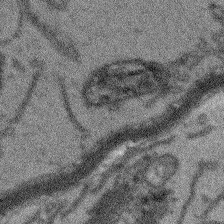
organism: Arabidopsis thaliana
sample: Root tip